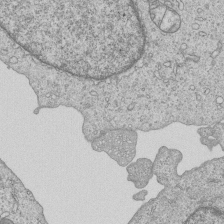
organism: Human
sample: MDA-MB-231 cells